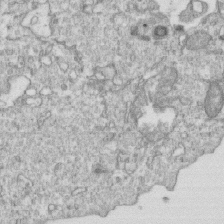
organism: Mouse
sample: Activated OT-1 CD8+ T cells